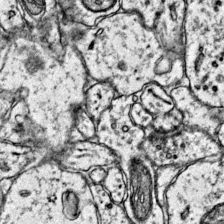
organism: Mouse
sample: Primary visual cortex